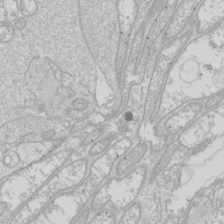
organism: Drosophila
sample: Cell division; meiosis; drosophila spermatocytes